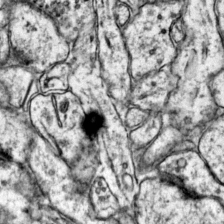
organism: Mouse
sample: Primary visual cortex